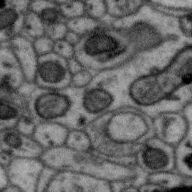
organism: Zebra finch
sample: Brain